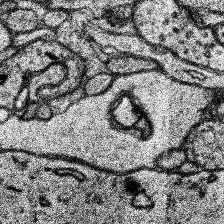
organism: Human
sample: Temporal Lobe